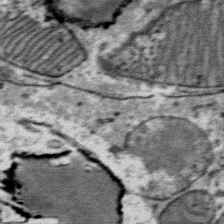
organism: Mouse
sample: Mouse Salivary gland